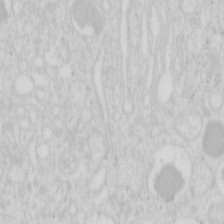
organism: Mouse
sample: Pancreas